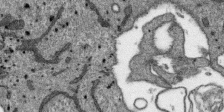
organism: Human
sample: Lung epithelial cells, uninfected (mock) control